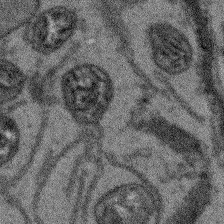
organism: Arabidopsis thaliana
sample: Root tip